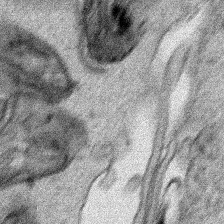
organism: Human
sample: Mitochondria in HCT116 cells